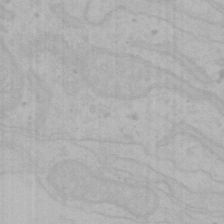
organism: Mouse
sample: Choroid plexus